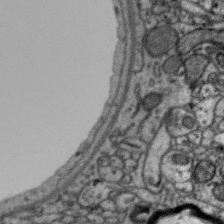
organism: Zebra finch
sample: Brain